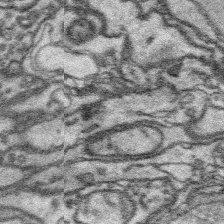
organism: Platynereis dumerilii